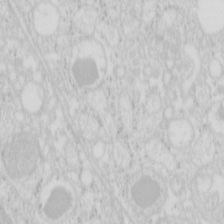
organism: Mouse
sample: Pancreas